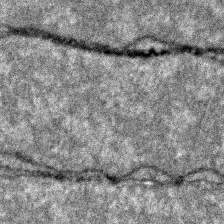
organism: Zebrafish